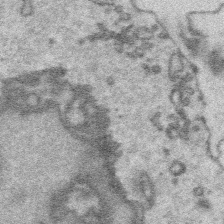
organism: Platynereis dumerilii